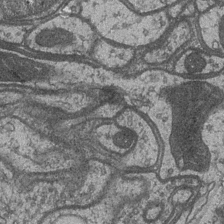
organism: Drosophila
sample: Optic medulla